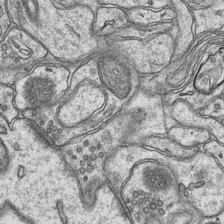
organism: Mouse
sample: CA1 Hippocampus